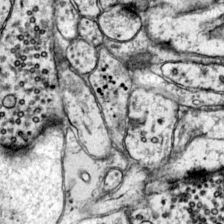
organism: Mouse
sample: Primary visual cortex